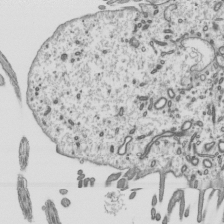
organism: Mouse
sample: Mouse epididymis efferent ductule cilia